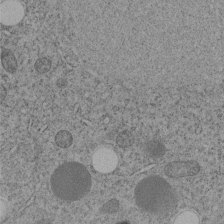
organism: C. elegans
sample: C. elegans embryo early stage